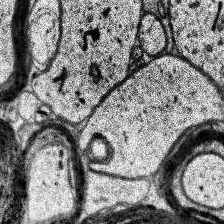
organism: Human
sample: Temporal Lobe